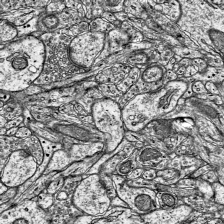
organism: Mouse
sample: Visual Cortex